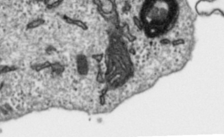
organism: Toxoplasma gondii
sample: Parasites in a vacuole inside a host cell